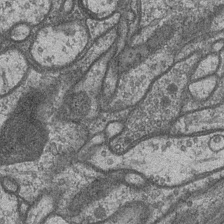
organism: Drosophila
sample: Optic medulla